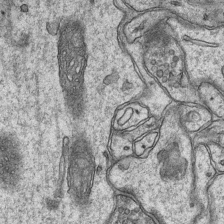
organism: Mouse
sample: CA1 Hippocampus